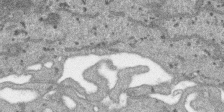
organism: Human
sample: Lung epithelial cells infected with SARS-CoV-2